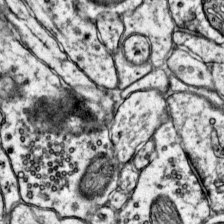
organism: Mouse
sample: Primary visual cortex